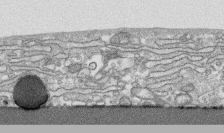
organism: Human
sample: CRL-1474